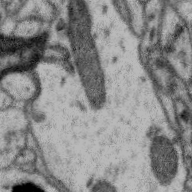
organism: Zebra finch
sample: Brain